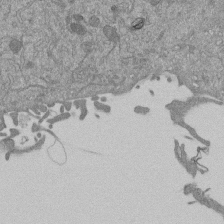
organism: Mouse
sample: ED-1 cell nuclei; centrioles